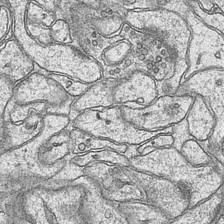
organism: Mouse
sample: CA1 Hippocampus